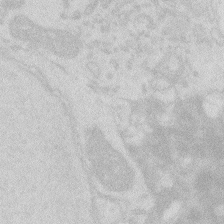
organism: Zebrafish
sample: Macrophage